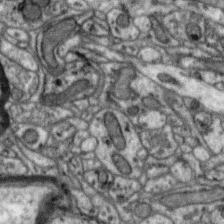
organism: Zebra finch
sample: Brain